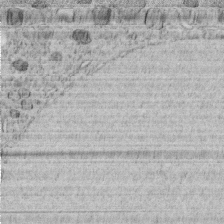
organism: C. elegans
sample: C. elegans embryo early stage